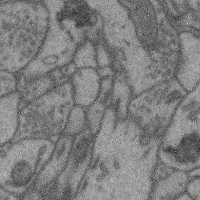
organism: Mouse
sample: Cerebral cortex